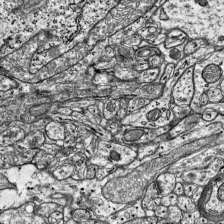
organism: Mouse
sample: Visual Cortex